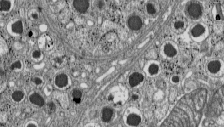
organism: C57BL Mouse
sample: Pancreatic islet